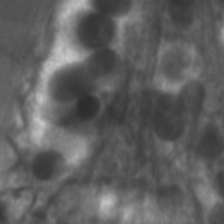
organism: C. elegans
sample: Pharynx